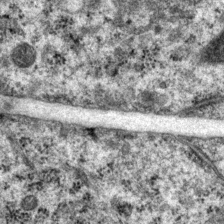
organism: P. pacificus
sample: Pharynx